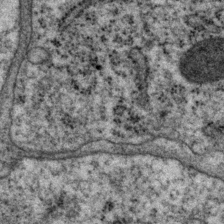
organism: P. pacificus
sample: Pharynx